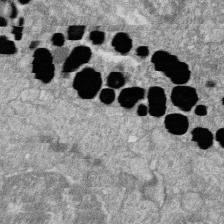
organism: Zebrafish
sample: Cilia; retinal pigment epithelium